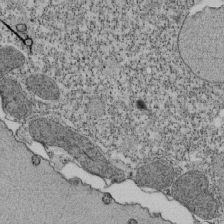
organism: Tetrahymena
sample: Cilia in tetrahymena